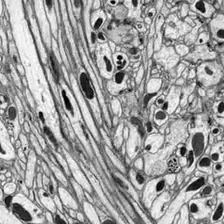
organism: Drosophila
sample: Optic lobe